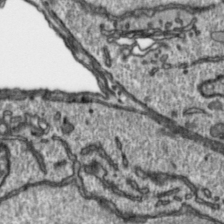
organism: Toxoplasma gondii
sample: Parasites in a vacuole inside a host cell